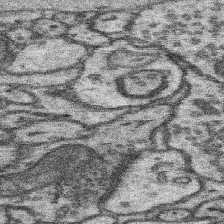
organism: Mouse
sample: Somatosensory cortex neuropil